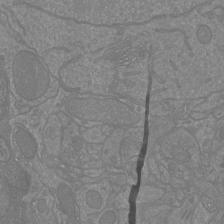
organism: Mouse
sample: Cortical neurons